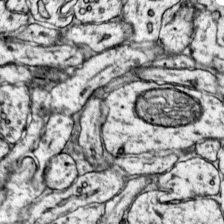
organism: Mouse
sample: Primary visual cortex